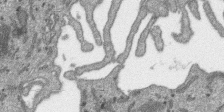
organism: Human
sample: Lung epithelial cells infected with SARS-CoV-2